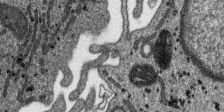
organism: Human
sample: Lung epithelial cells infected with SARS-CoV-2